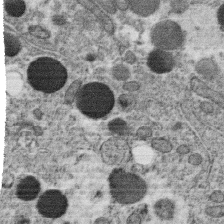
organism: C. elegans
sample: C. elegans oocyte; sperm cells